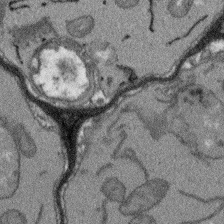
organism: Arabidopsis thaliana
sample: Root tip